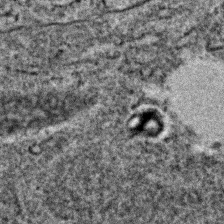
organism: C. elegans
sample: C. elegans embryo